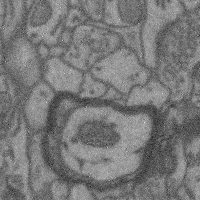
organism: Mouse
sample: Cerebral cortex